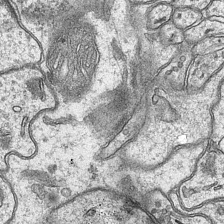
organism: Mouse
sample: CA1 Hippocampus